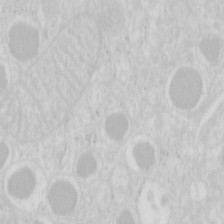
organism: Mouse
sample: Pancreas